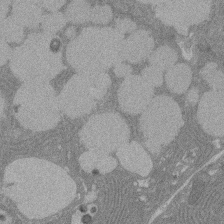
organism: Rat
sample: Salivary granule